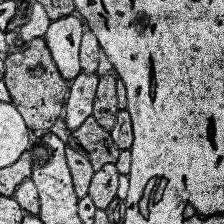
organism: Human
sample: Temporal Lobe